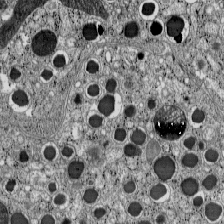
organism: C57BL Mouse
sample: Pancreatic islet